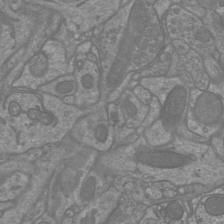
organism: Mouse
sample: Cortical neurons